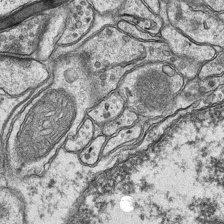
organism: Mouse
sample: CA1 Hippocampus